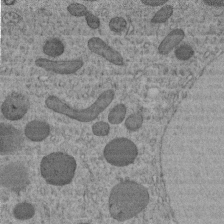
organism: C. elegans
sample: C. elegans embryo early stage